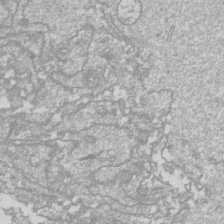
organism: Drosophila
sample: Cell division; meiosis; drosophila spermatocytes